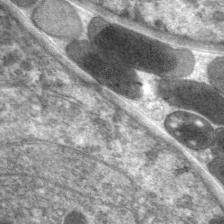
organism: C. elegans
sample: Pharynx